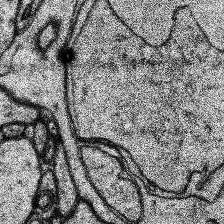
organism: Human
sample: Temporal Lobe